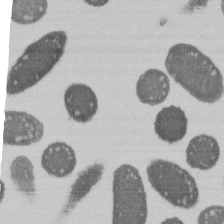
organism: E. coli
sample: Bacterial nucleoid